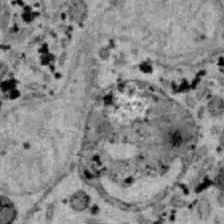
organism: Mouse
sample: Liver from an obese (ob/ob) mouse